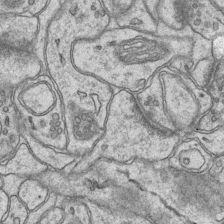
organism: Mouse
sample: CA1 Hippocampus